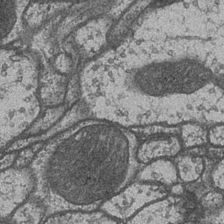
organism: Drosophila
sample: Optic medulla